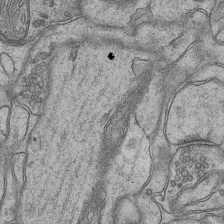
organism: Mouse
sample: CA1 Hippocampus